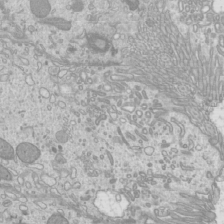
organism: Mouse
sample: Cilia; mouse epididymis